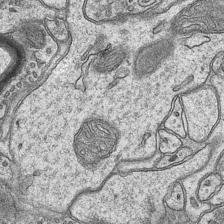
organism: Mouse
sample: CA1 Hippocampus